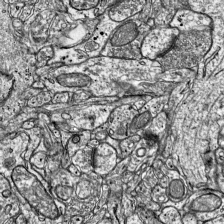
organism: Mouse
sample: Visual Cortex